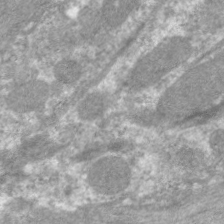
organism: C. elegans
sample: Pharynx